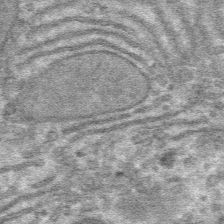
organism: Mouse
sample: Mouse hepatocytes